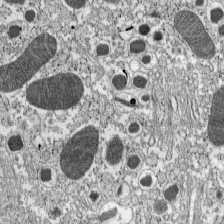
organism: C57BL Mouse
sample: Pancreatic islet